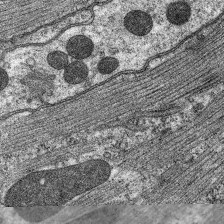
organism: C. elegans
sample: Pharynx